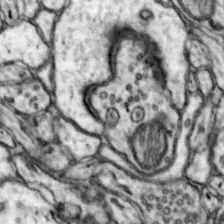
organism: Mouse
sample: Nucleus accumbens